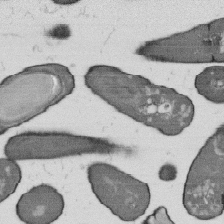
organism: B. subtilis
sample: Bacterial spore